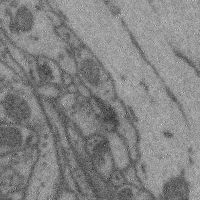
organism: Mouse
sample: Cerebral cortex